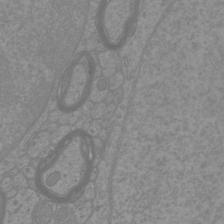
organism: Mouse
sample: Cortical neurons